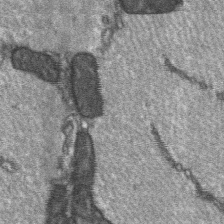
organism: C57BL Mouse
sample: Soleus